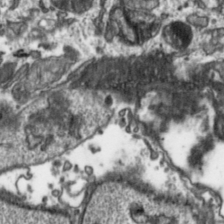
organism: Toxoplasma gondii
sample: Parasites in a vacuole inside a host cell